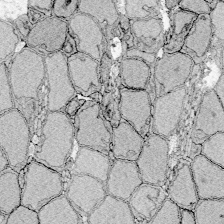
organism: Zebrafish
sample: Whole-Brain